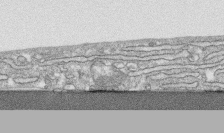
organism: Human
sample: CRL-1474